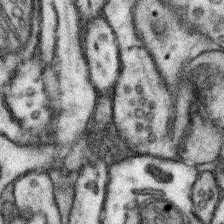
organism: Mouse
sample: Somatosensory cortex neuropil